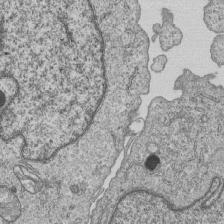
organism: Human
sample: MDA-MB-231 cells